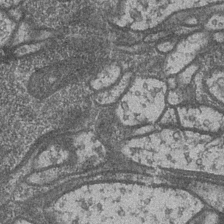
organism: Drosophila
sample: Optic medulla